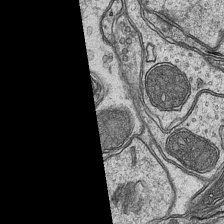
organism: Mouse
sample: CA1 Hippocampus